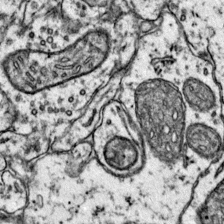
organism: Mouse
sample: Primary visual cortex